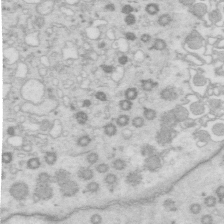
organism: Mouse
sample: Multiciliated cells